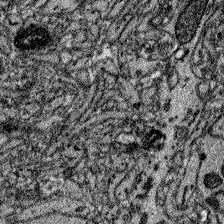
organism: Zebrafish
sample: Larval olfactory bulb